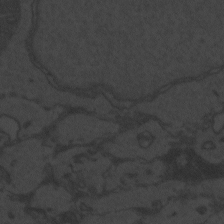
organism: Zebrafish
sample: Macrophage infected with Toxoplasma gondii